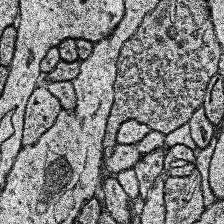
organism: Human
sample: Temporal Lobe